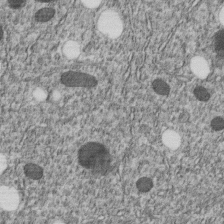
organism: C. elegans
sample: C. elegans embryo early stage